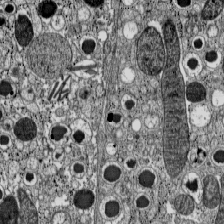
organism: C57BL Mouse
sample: Pancreatic islet